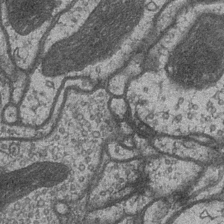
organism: Drosophila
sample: Optic medulla